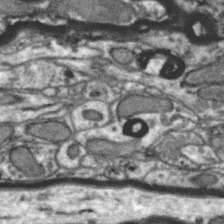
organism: Zebra finch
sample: Brain